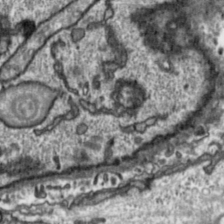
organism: Toxoplasma gondii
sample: Parasites in a vacuole inside a host cell